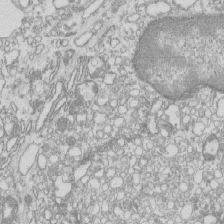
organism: Mouse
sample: Macrophages